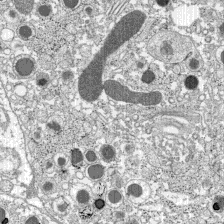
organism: C57BL Mouse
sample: Pancreatic islet